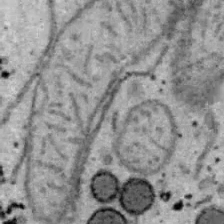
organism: Mouse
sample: Liver from an obese (ob/ob) mouse